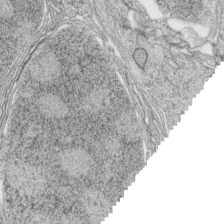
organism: Zebrafish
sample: synaptic ribbons in rod cells and cone cells